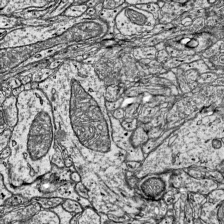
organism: Mouse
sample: Visual Cortex